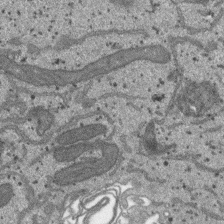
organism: Human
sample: Lung epithelial cells infected with SARS-CoV-2